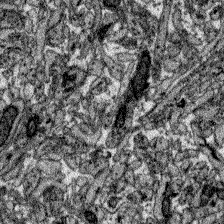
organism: Zebrafish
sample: Larval olfactory bulb